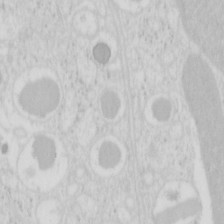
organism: Mouse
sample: Pancreas